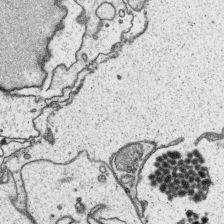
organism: Platynereis dumerilii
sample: Parapodia